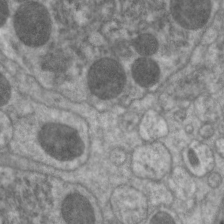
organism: C. elegans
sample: Pharynx